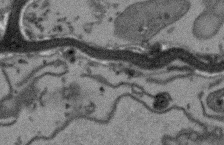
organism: Arabidopsis thaliana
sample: Root tip